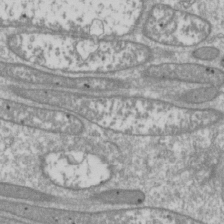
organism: Drosophila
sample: Cell division; meiosis; drosophila spermatocytes